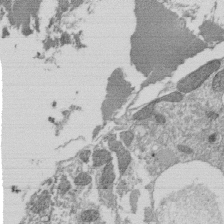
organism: Tetrahymena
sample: Cilia in tetrahymena